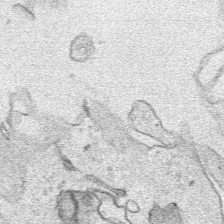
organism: Human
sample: Mitochondria in HCT116 cells